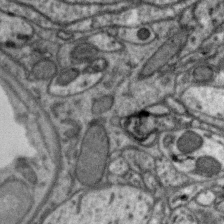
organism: Zebra finch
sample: Brain